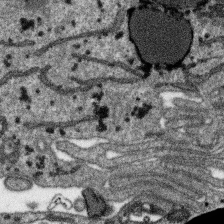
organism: Human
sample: Lung epithelial cells infected with SARS-CoV-2